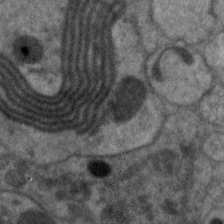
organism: C. elegans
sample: Pharynx